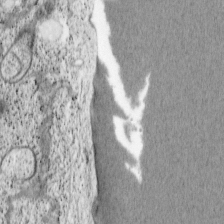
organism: African green monkey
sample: COS-7 cells